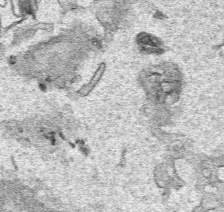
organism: Human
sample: Mitochondria in HCT116 cells